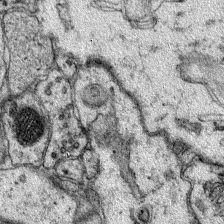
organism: Mouse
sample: Primary visual cortex